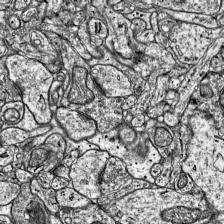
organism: Mouse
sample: Visual Cortex